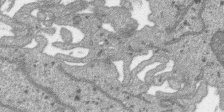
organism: Human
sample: Lung epithelial cells infected with SARS-CoV-2